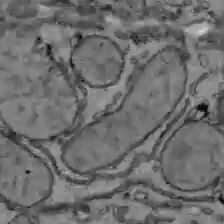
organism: C57BL Mouse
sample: Liver